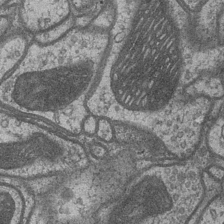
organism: Drosophila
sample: Optic medulla